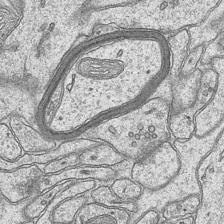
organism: Mouse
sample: CA1 Hippocampus